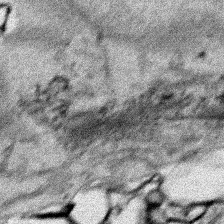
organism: Human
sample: Mitochondria in HCT116 cells